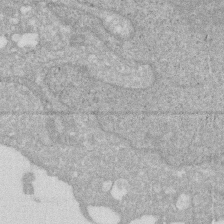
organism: Human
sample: HIV infected U937 cells